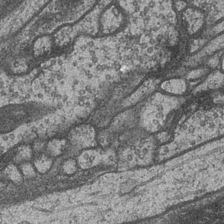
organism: Drosophila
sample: Optic medulla